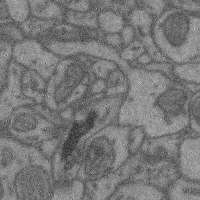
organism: Mouse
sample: Cerebral cortex